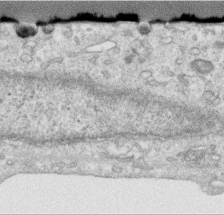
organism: Human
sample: Centriole in RPE cells